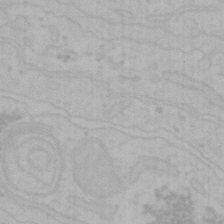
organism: Mouse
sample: Choroid plexus